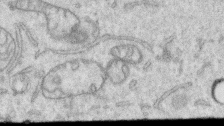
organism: Human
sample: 1205lu cells